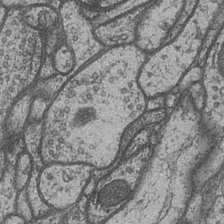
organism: Drosophila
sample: Optic medulla